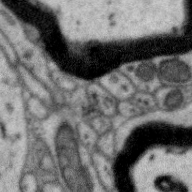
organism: Zebra finch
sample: Brain